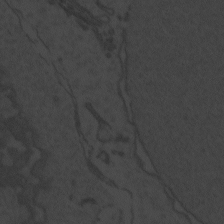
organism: Zebrafish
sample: Macrophage infected with Toxoplasma gondii